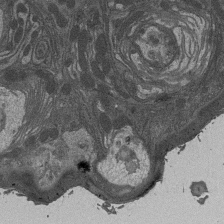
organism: Drosophila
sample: Antenna